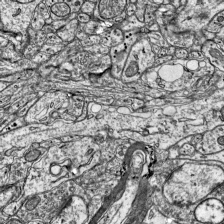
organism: Mouse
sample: Visual Cortex